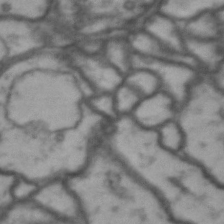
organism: Drosophila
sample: Brain